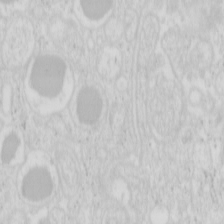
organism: Mouse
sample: Pancreas